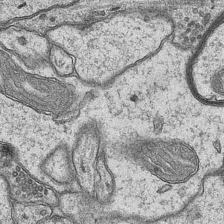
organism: Mouse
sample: CA1 Hippocampus